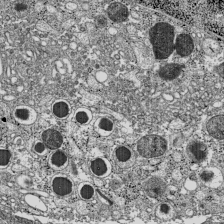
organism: C57BL Mouse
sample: Pancreatic islet